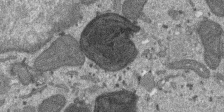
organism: Human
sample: Lung epithelial cells infected with SARS-CoV-2